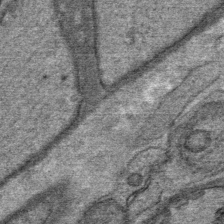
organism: Mouse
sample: Mouse Salivary gland